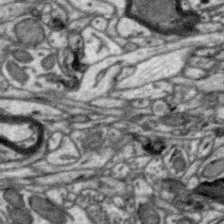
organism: Zebra finch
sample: Brain